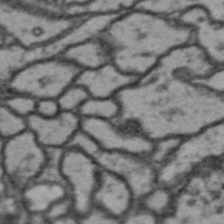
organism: Drosophila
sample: Brain